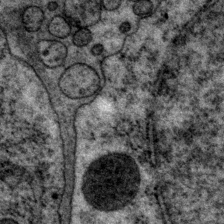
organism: P. pacificus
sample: Pharynx